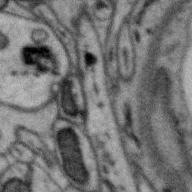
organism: Zebra finch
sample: Brain